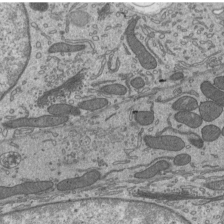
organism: Mouse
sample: Mouse epididymis efferent ductule cilia